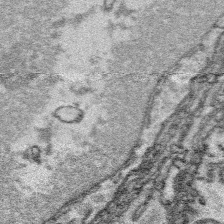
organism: Platynereis dumerilii